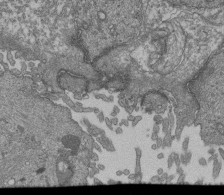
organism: Human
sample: Retinal organoid Rod and Cone cells